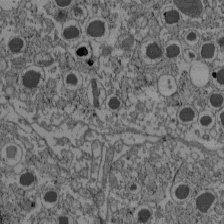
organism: C57BL Mouse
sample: Pancreatic islet